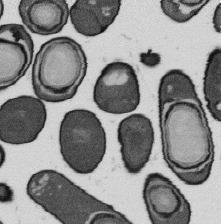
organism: B. subtilis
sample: Bacterial spore